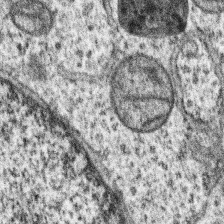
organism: Human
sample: HeLa cells